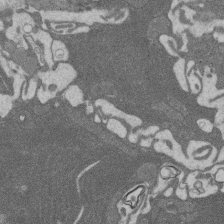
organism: Rat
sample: Salivary granule